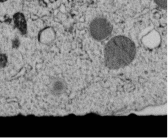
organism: C. elegans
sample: C. elegans embryo early stage